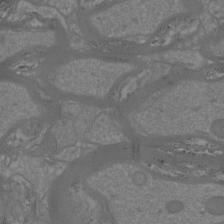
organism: Mouse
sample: Cortical neurons